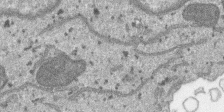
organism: Human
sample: Lung epithelial cells infected with SARS-CoV-2